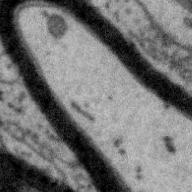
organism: Zebra finch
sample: Brain